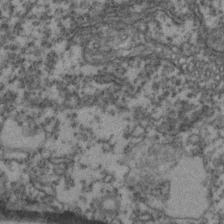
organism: Zebrafish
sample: Zebrafish embryo